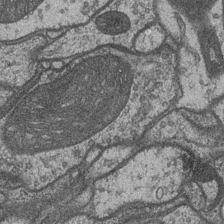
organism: Drosophila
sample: Optic medulla